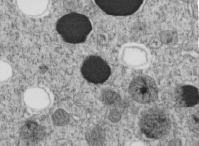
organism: C. elegans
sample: C. elegans embryo early stage